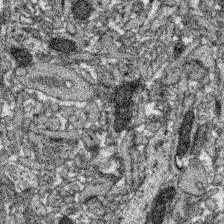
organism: Zebrafish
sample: Larval olfactory bulb